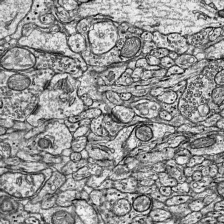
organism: Mouse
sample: Visual Cortex